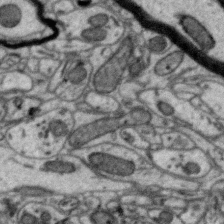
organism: Zebra finch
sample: Brain